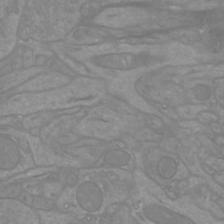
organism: Mouse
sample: Cortical neurons